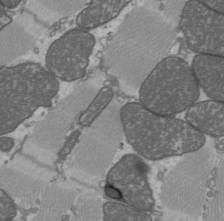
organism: C57BL Mouse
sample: Heart